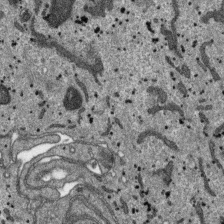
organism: Human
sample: Lung epithelial cells, uninfected (mock) control